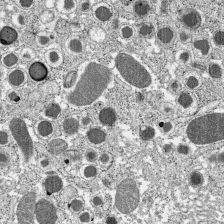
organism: C57BL Mouse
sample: Pancreatic islet